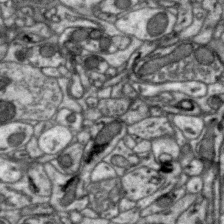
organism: Zebra finch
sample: Brain